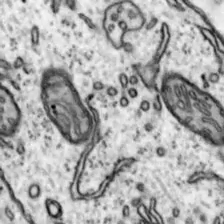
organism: Mouse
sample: Nucleus accumbens